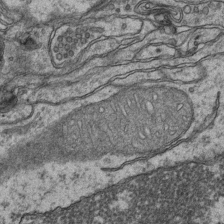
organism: Mouse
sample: CA1 Hippocampus